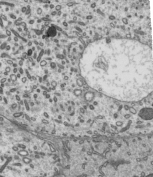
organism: Mouse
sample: Mouse epididymis efferent ductule cilia